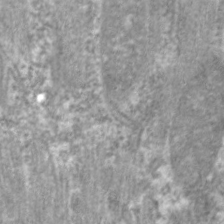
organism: C. elegans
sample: Pharynx